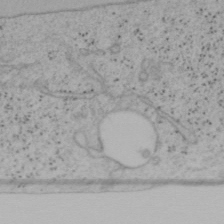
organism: Human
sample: HeLa cells